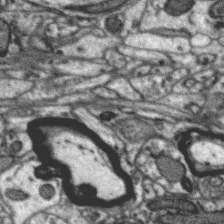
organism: Zebra finch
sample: Brain